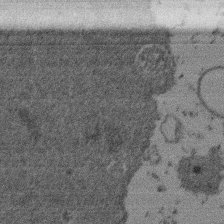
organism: Mouse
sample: Dividing mouse embryo 1 cell stage